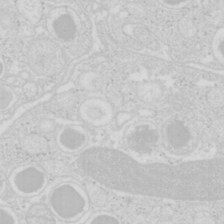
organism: Mouse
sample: Pancreas